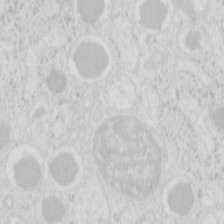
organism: Mouse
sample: Pancreas